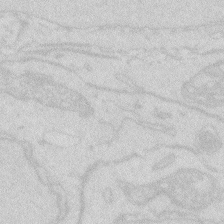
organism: Zebrafish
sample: Macrophage